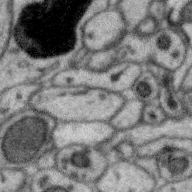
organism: Zebra finch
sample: Brain